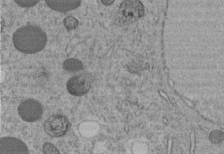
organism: C. elegans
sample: C. elegans embryo early stage